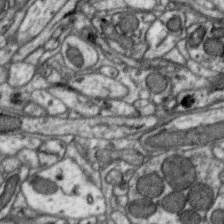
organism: Zebra finch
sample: Brain